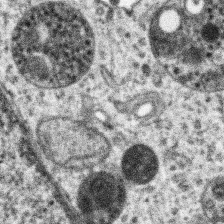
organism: Human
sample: HeLa cells